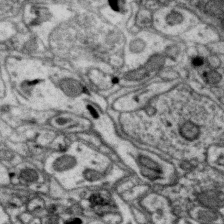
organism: Zebra finch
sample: Brain